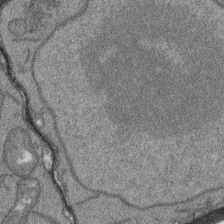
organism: Arabidopsis thaliana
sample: Root tip